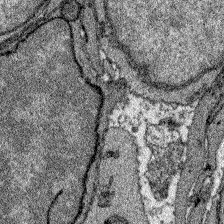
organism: Zebrafish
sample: Larval olfactory bulb